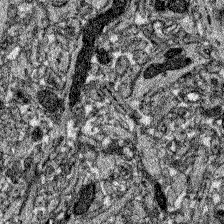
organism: Zebrafish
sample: Larval olfactory bulb